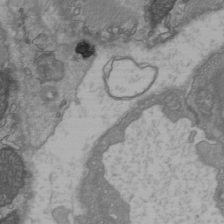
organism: C57BL Mouse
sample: Heart